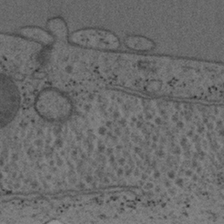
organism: Human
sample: HeLa cells